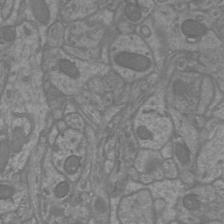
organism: Mouse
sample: Cortical neurons